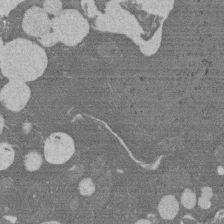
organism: Rat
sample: Salivary granule